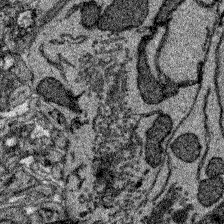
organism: Zebrafish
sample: Larval olfactory bulb